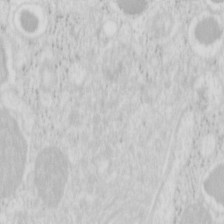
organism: Mouse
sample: Pancreas